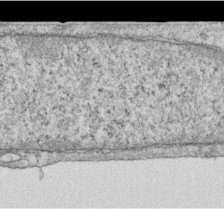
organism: Human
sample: Centriole in RPE cells